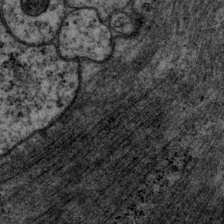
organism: P. pacificus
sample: Pharynx